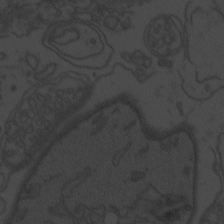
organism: Zebrafish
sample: Macrophage infected with Toxoplasma gondii